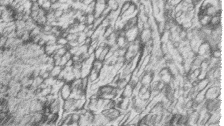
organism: Zebrafish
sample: synaptic ribbons in rod cells and cone cells